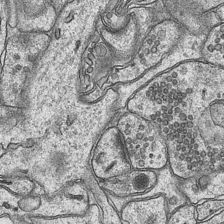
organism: Mouse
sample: CA1 Hippocampus